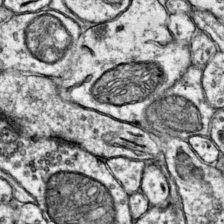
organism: Mouse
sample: Primary visual cortex